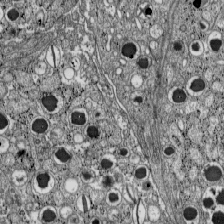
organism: C57BL Mouse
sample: Pancreatic islet